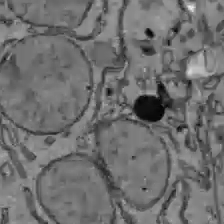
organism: C57BL Mouse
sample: Liver